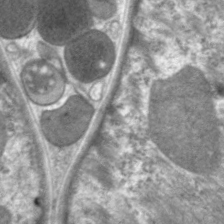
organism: C. elegans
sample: Pharynx